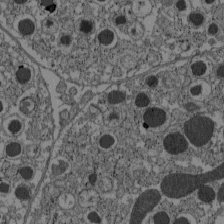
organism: C57BL Mouse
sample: Pancreatic islet